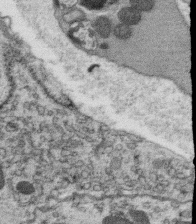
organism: C. elegans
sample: C. elegans oocyte; sperm cells